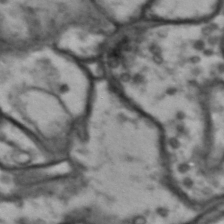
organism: Drosophila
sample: Brain